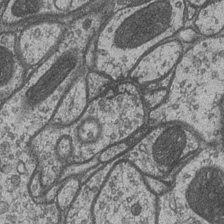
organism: Drosophila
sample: Optic medulla